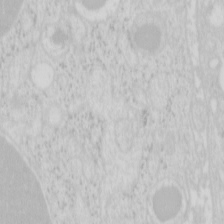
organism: Mouse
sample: Pancreas